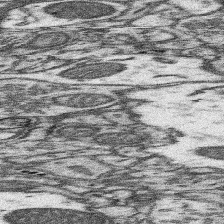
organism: Mouse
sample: Somatosensory cortex neuropil